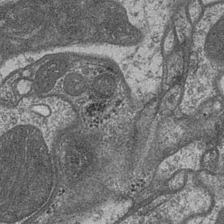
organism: Drosophila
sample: Optic medulla